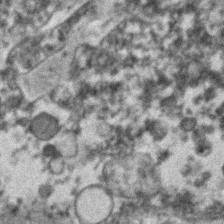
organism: Human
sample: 1205lu cells